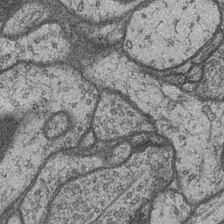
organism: Drosophila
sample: Optic medulla